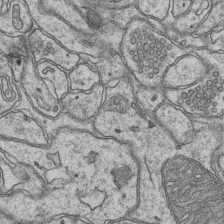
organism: Mouse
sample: CA1 Hippocampus